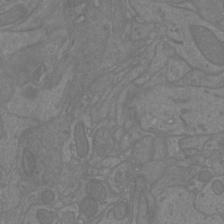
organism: Mouse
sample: Cortical neurons